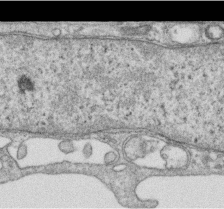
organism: Human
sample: Centriole in RPE cells